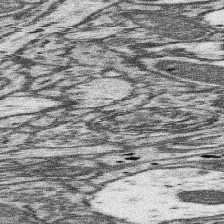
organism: Mouse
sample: Somatosensory cortex neuropil